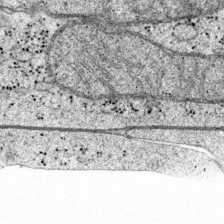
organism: Human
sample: HeLa cells